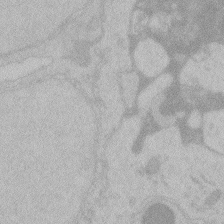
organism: Zebrafish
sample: Macrophage infected with Toxoplasma gondii